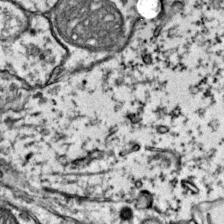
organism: Mouse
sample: Primary visual cortex